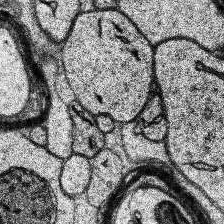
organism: Human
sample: Temporal Lobe